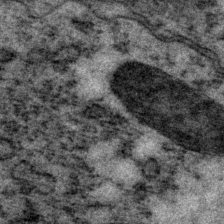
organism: P. pacificus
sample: Pharynx